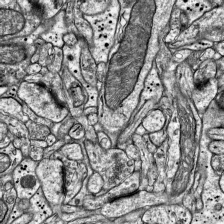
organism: Mouse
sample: Visual Cortex